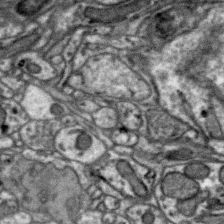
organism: Zebra finch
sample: Brain